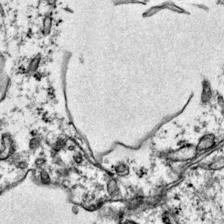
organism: Mouse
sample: Primary visual cortex